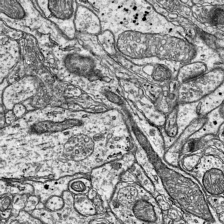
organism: Mouse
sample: Visual Cortex